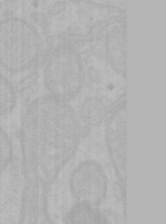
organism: Mouse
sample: Choroid plexus